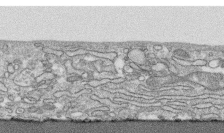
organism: Human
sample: CRL-1474